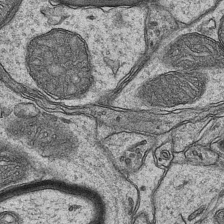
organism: Mouse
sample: CA1 Hippocampus